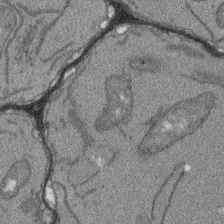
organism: Arabidopsis thaliana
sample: Root tip